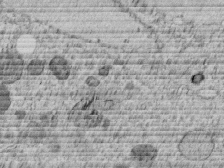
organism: C. elegans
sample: C. elegans embryo early stage